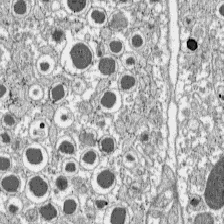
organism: C57BL Mouse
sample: Pancreatic islet